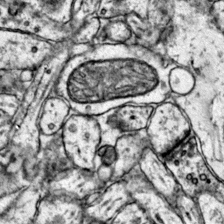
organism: Mouse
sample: Primary visual cortex